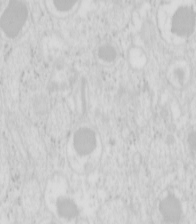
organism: Mouse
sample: Pancreas